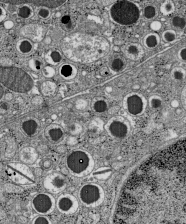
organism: C57BL Mouse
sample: Pancreatic islet